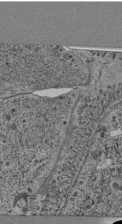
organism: C. elegans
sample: C. elegans pharynx